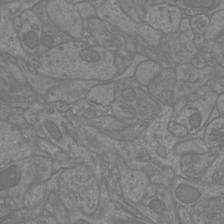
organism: Mouse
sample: Cortical neurons